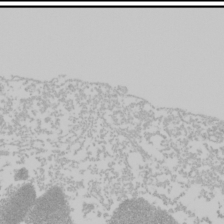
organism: Mouse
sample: Cancer cell death in ED-1 cells